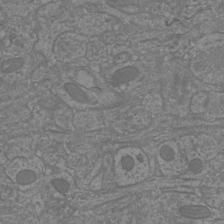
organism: Mouse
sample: Cortical neurons